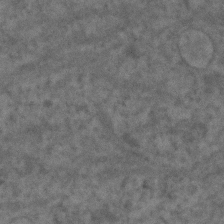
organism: Human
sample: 1205lu cells